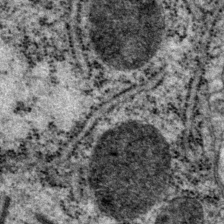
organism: P. pacificus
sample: Pharynx